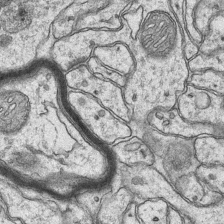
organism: Mouse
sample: CA1 Hippocampus